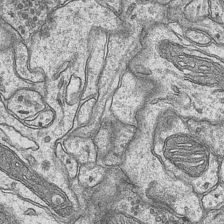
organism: Mouse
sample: CA1 Hippocampus